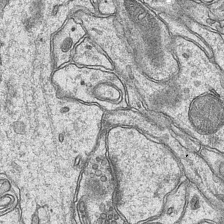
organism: Mouse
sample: CA1 Hippocampus